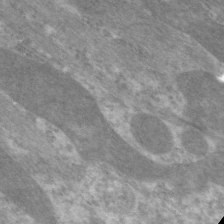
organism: C. elegans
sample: Pharynx